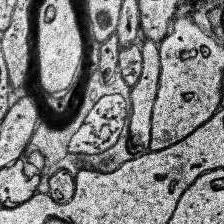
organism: Human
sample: Temporal Lobe